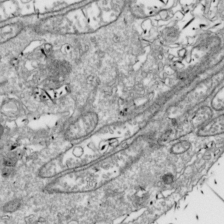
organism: Drosophila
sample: Cell division; meiosis; drosophila spermatocytes